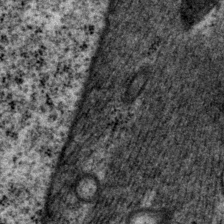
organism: P. pacificus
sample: Pharynx